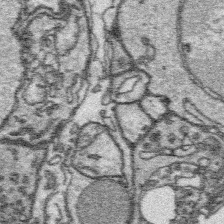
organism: Platynereis dumerilii